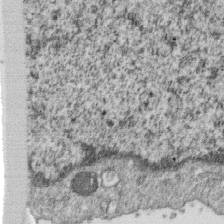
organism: African green monkey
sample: Vero E6 cells infected with SARS-CoV-2